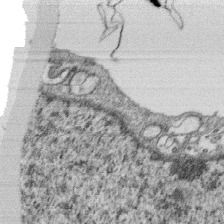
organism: African green monkey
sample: Vero E6 cells infected with SARS-CoV-2